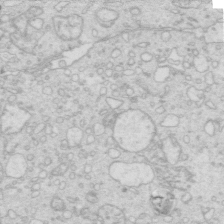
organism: Mouse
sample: Multiciliated cells